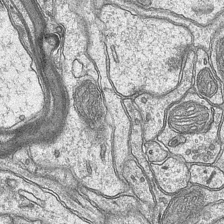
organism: Mouse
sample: CA1 Hippocampus